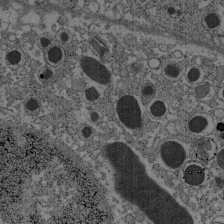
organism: C57BL Mouse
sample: Pancreatic islet